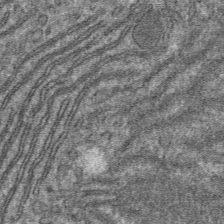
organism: Mouse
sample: Mouse hepatocytes